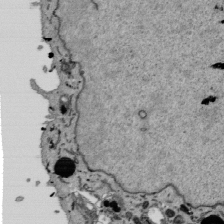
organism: Mouse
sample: ED-1 cell nuclei; centrioles